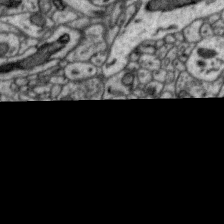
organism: Zebra finch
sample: Brain